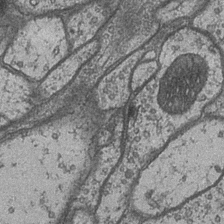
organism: Drosophila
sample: Optic medulla